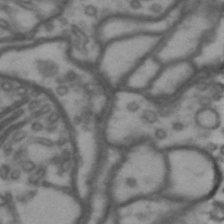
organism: Drosophila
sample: Brain